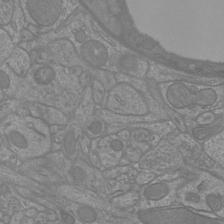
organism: Mouse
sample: Cortical neurons